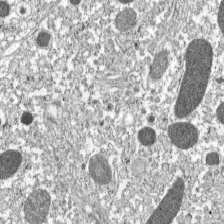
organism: C57BL Mouse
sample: Pancreatic islet